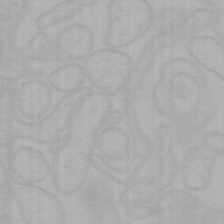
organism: Mouse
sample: Choroid plexus